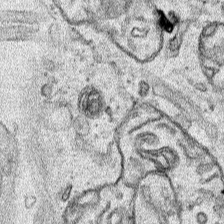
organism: Human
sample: Mitochondria in HCT116 cells